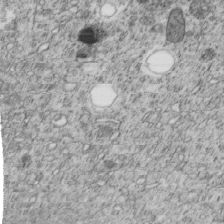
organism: C. elegans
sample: C. elegans embryo early stage